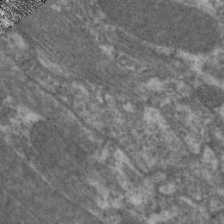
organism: C. elegans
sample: Pharynx